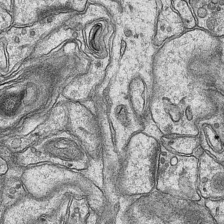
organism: Mouse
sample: CA1 Hippocampus